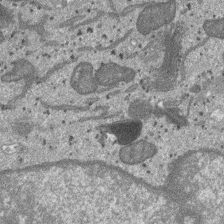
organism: Human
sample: Lung epithelial cells infected with SARS-CoV-2